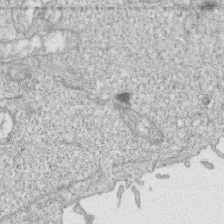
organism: Human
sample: HeLa cell HIV synapse